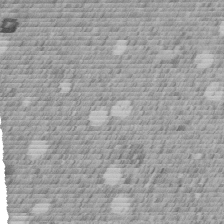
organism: C. elegans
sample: C. elegans embryo early stage